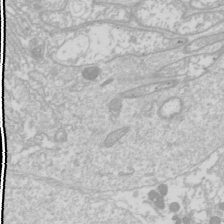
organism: Drosophila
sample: Cell division; meiosis; drosophila spermatocytes